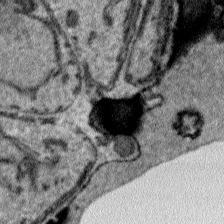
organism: Plasmodium falciparum